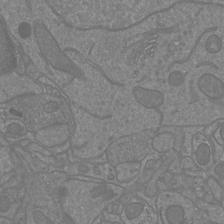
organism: Mouse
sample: Cortical neurons